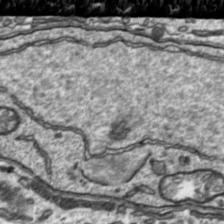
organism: Toxoplasma gondii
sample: Parasites in a vacuole inside a host cell